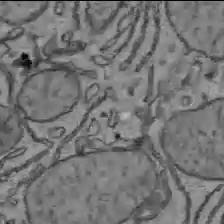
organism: C57BL Mouse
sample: Liver